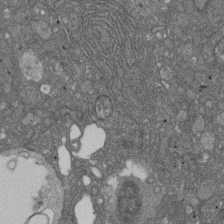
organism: Drosophila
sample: Nephrocyte